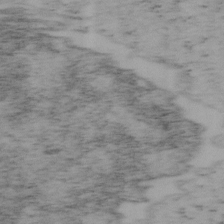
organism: Mouse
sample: OT-I killer T cells with ID8 ovarian cancer cells